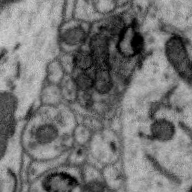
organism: Zebra finch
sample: Brain